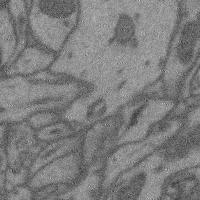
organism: Mouse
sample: Cerebral cortex